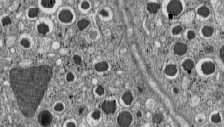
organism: C57BL Mouse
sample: Pancreatic islet